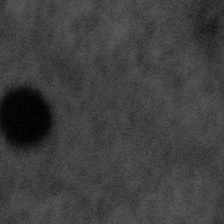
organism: Tuwongella immobilis